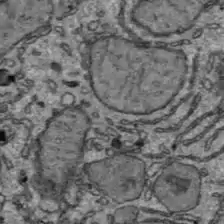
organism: C57BL Mouse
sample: Liver